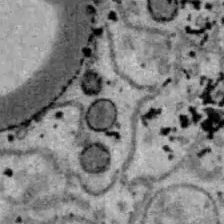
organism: Mouse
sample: Liver from an obese (ob/ob) mouse